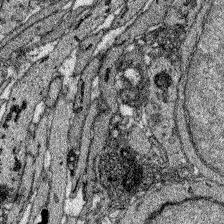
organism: Zebrafish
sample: Larval olfactory bulb